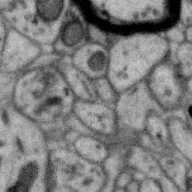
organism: Zebra finch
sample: Brain